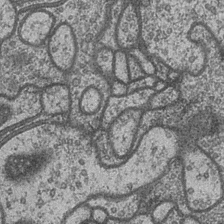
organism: Drosophila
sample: Optic medulla